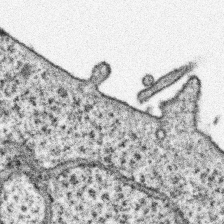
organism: Human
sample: HeLa cells